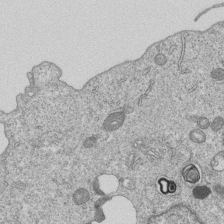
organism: Human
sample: MDA-MB-231 cells